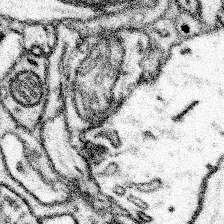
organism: Mouse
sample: Somatosensory cortex neuropil